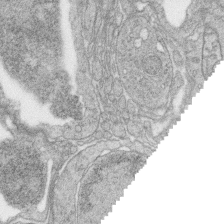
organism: Zebrafish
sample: synaptic ribbons in rod cells and cone cells